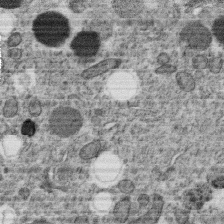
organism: C. elegans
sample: C. elegans oocyte; sperm cells